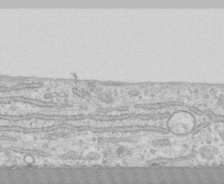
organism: Human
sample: CRL-1474